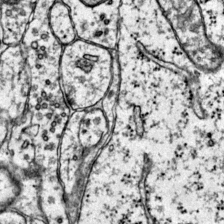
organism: Mouse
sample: Primary visual cortex